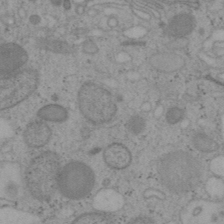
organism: Mouse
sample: OT-I killer T cells with ID8 ovarian cancer cells